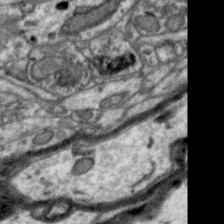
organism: Zebra finch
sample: Brain